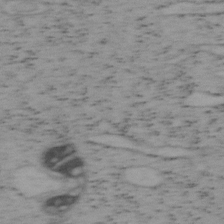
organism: Mouse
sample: OT-I killer T cells with ID8 ovarian cancer cells